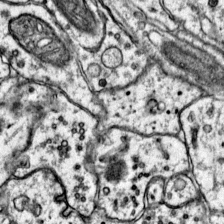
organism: Mouse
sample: Primary visual cortex